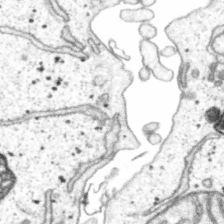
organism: Human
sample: HeLa cells